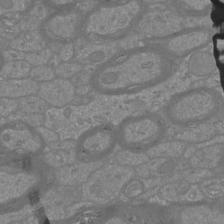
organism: Mouse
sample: Cortical neurons